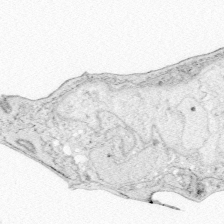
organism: Zebrafish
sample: Whole-Brain